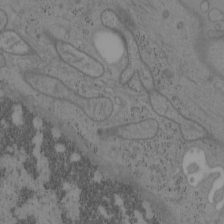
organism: Mouse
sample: OT-I killer T cells with ID8 ovarian cancer cells